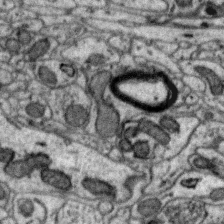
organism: Zebra finch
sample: Brain